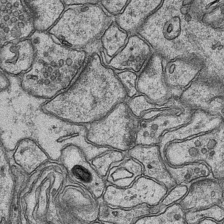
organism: Mouse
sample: CA1 Hippocampus